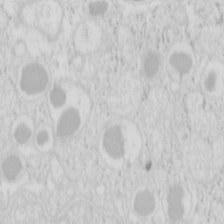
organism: Mouse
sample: Pancreas